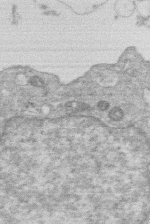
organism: Human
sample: Macrophage cells